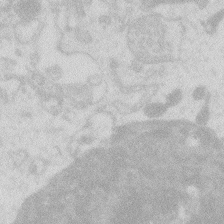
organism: Zebrafish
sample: Macrophage